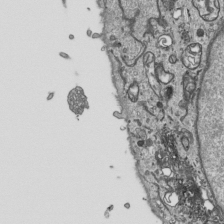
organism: Human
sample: Mitochondria in HCT116 cells